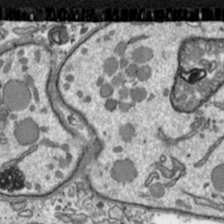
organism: Toxoplasma gondii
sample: Parasites in a vacuole inside a host cell